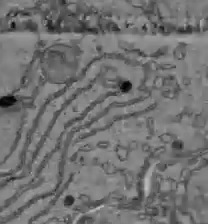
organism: C57BL Mouse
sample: Liver